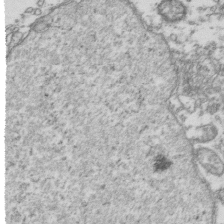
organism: Human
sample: Activated Jurkat CD4+ T cells